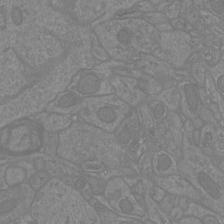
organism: Mouse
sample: Cortical neurons